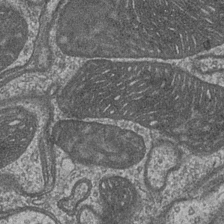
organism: Drosophila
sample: Optic medulla